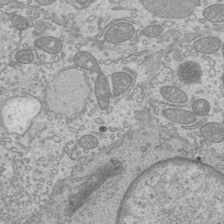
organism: Mouse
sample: Cilia; mouse epididymis